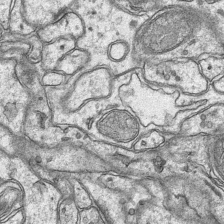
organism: Mouse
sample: CA1 Hippocampus